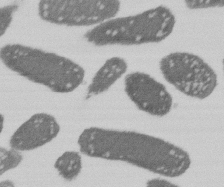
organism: E. coli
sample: Bacterial nucleoid